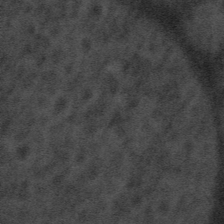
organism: Tuwongella immobilis